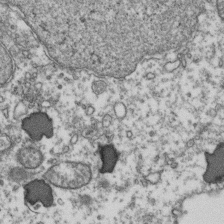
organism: Human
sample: Activated Jurkat CD4+ T cells